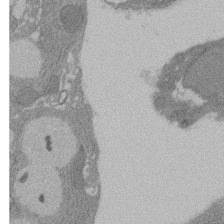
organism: Rat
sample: Salivary granule